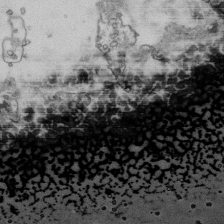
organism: Human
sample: Activated Jurkat CD4+ T cells